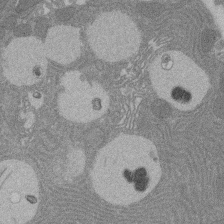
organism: Rat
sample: Salivary granule